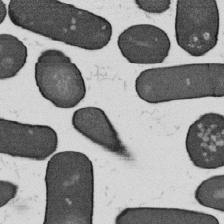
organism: B. subtilis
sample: Bacterial spore